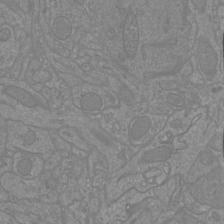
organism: Mouse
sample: Cortical neurons